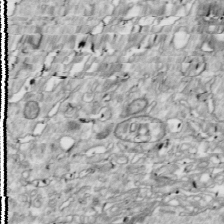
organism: Drosophila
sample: Cell division; meiosis; drosophila spermatocytes